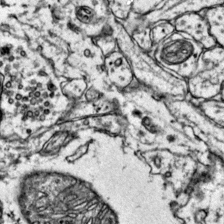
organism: Mouse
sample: Primary visual cortex